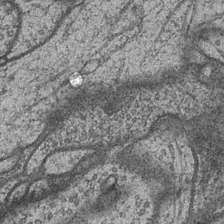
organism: Drosophila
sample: Optic medulla